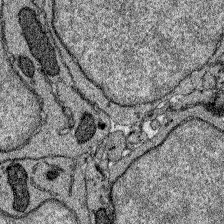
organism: Zebrafish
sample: Larval olfactory bulb